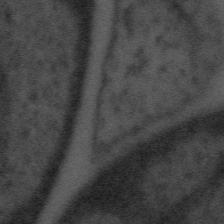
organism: Tuwongella immobilis